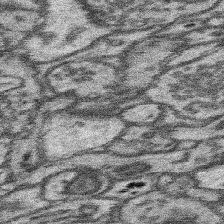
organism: Mouse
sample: Somatosensory cortex neuropil